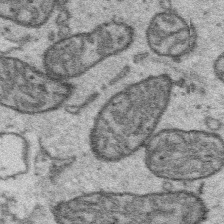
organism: Platynereis dumerilii